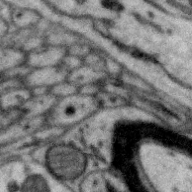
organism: Zebra finch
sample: Brain